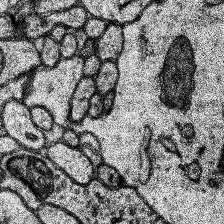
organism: Human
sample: Temporal Lobe